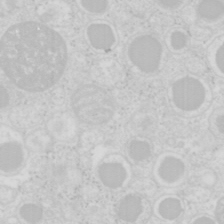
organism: Mouse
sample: Pancreas